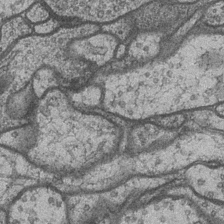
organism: Drosophila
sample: Optic medulla